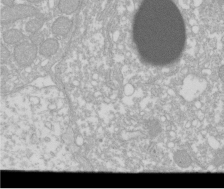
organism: Xenopus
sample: Cilia; centrioles in frog embryo cells